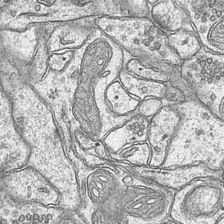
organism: Mouse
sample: CA1 Hippocampus